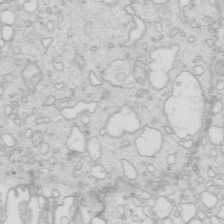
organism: Mouse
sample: Multiciliated cells